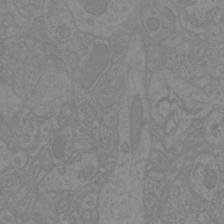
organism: Mouse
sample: Cortical neurons